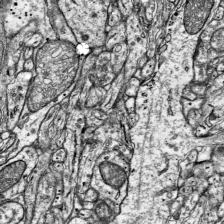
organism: Mouse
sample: Visual Cortex